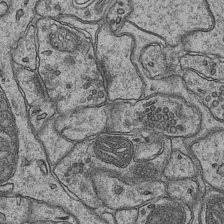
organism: Mouse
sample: CA1 Hippocampus